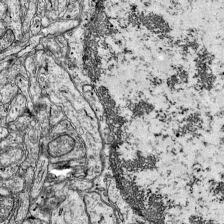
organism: Mouse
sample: Visual Cortex